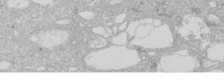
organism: Human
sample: Caco-2 cells